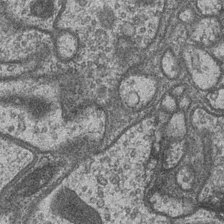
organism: Drosophila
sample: Optic medulla